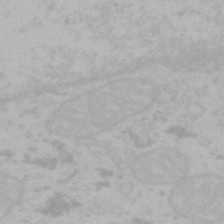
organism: Mouse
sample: Choroid plexus